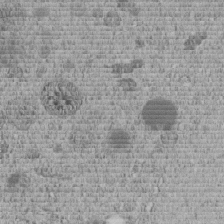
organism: C. elegans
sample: C. elegans embryo early stage